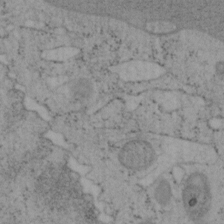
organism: Mouse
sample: OT-I killer T cells with ID8 ovarian cancer cells